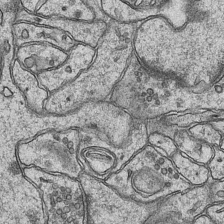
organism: Mouse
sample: CA1 Hippocampus